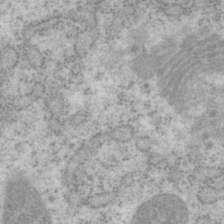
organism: P. pacificus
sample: Pharynx